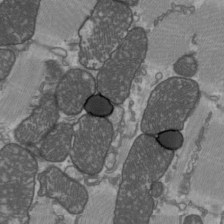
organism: C57BL Mouse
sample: Heart